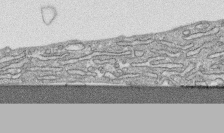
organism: Human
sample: CRL-1474